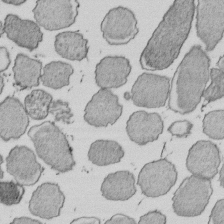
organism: E. coli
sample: Bacterial nucleoid